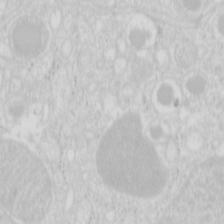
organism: Mouse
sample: Pancreas